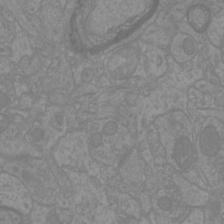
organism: Mouse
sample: Cortical neurons